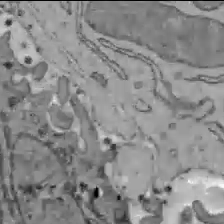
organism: C57BL Mouse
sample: Liver